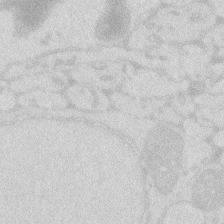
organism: Zebrafish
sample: Macrophage